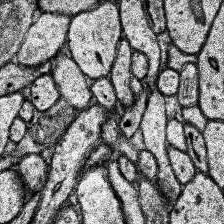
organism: Human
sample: Temporal Lobe